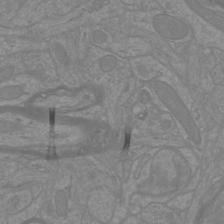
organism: Mouse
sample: Cortical neurons